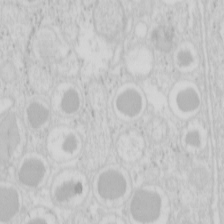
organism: Mouse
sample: Pancreas